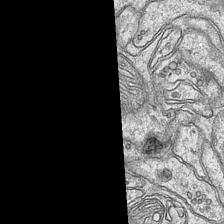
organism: Mouse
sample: CA1 Hippocampus